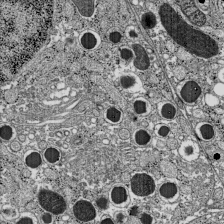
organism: C57BL Mouse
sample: Pancreatic islet